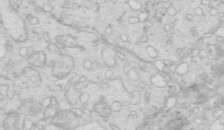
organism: Mouse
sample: Multiciliated cells